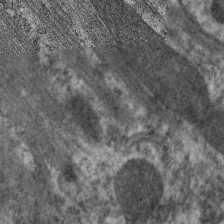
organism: C. elegans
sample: Pharynx